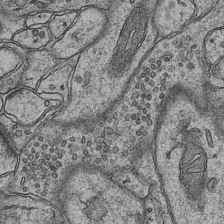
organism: Mouse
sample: CA1 Hippocampus